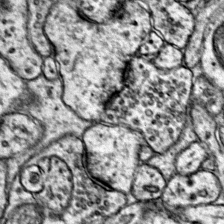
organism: Mouse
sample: Primary visual cortex